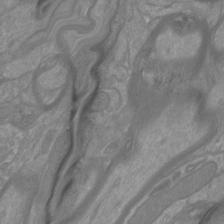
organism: Mouse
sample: Cortical neurons